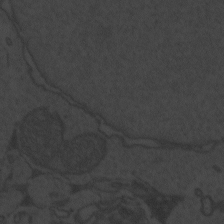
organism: Zebrafish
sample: Macrophage infected with Toxoplasma gondii